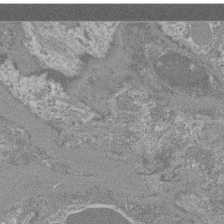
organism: Mouse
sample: Glomerulus